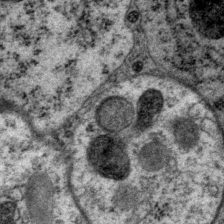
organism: P. pacificus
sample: Pharynx